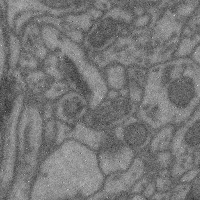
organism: Mouse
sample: Cerebral cortex